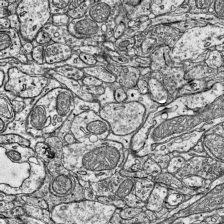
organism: Mouse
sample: Visual Cortex